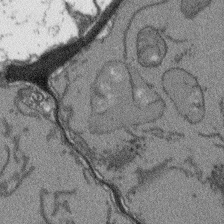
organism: Arabidopsis thaliana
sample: Root tip